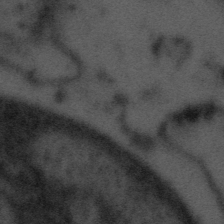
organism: Tuwongella immobilis